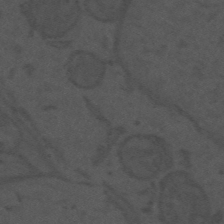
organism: Mouse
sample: Suprachiasmatic nucleus